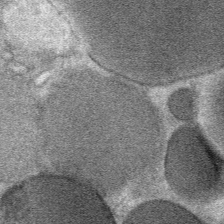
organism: Mouse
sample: Mouse Salivary gland